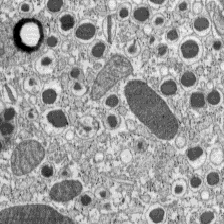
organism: C57BL Mouse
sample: Pancreatic islet